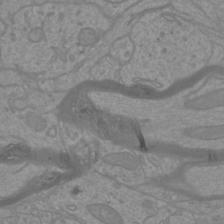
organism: Mouse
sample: Cortical neurons